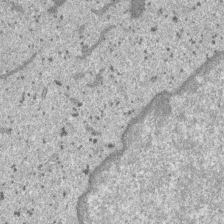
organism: Human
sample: Lung epithelial cells infected with SARS-CoV-2